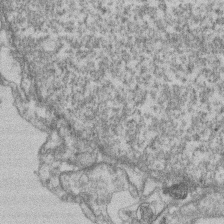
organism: Mouse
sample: T cell stromal cell synapse